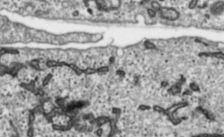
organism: Toxoplasma gondii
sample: Parasites in a vacuole inside a host cell